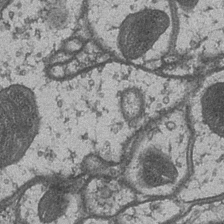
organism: Drosophila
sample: Optic medulla